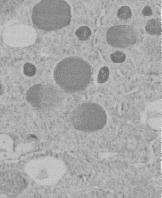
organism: C. elegans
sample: C. elegans embryo early stage